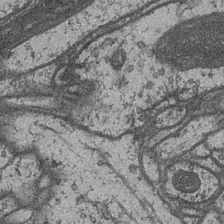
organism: Drosophila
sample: Optic medulla